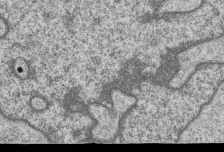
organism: Human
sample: MDA-MB-231 cells